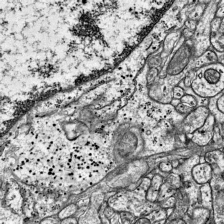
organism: Mouse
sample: Visual Cortex